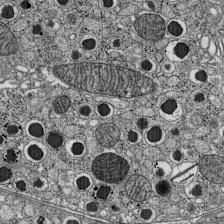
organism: C57BL Mouse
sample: Pancreatic islet